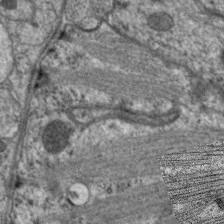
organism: C. elegans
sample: Pharynx